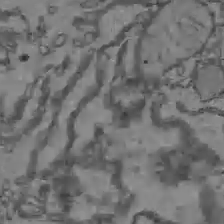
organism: C57BL Mouse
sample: Liver